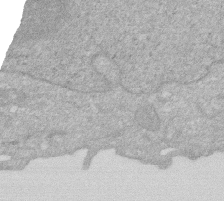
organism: Human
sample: HIV infected U937 cells